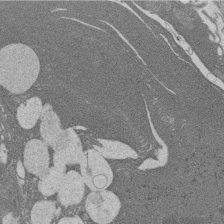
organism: Rat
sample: Salivary granule